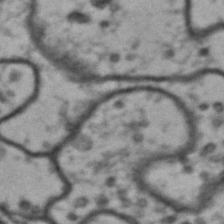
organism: Drosophila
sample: Brain